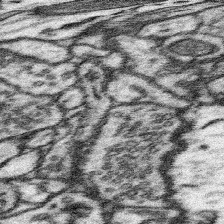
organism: Mouse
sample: Somatosensory cortex neuropil